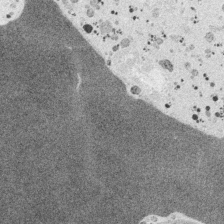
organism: Embia sp.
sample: Silk gland